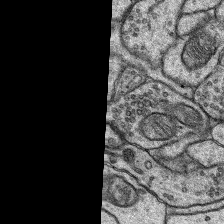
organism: Rat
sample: Hippocampus